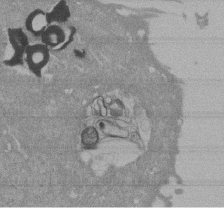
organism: Mouse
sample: ED-1 cell nuclei; centrioles